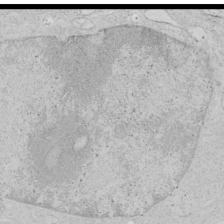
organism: Human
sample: Mitochondria in HCT116 cells